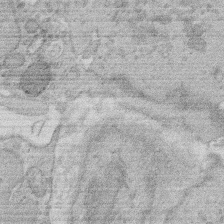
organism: Rat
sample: Salivary granule